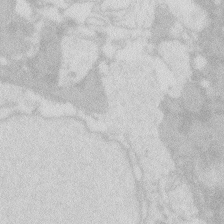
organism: Zebrafish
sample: Macrophage